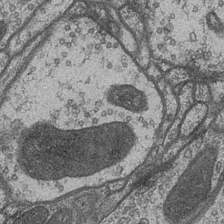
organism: Drosophila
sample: Optic medulla